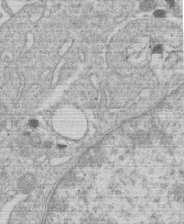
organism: Human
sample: Macrophage cells